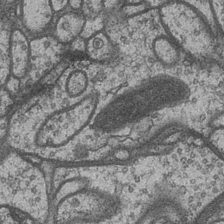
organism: Drosophila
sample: Optic medulla